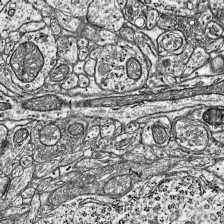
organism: Mouse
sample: Visual Cortex